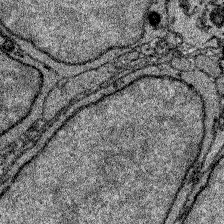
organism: Zebrafish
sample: Larval olfactory bulb